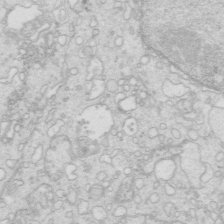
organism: Mouse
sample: Multiciliated cells